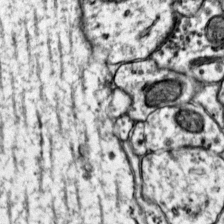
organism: Mouse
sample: Primary visual cortex